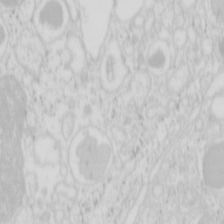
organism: Mouse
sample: Pancreas